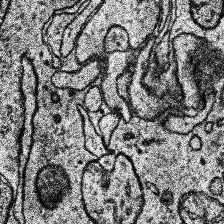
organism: Human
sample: Temporal Lobe